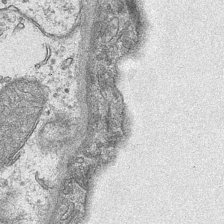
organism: Mouse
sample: CA1 Hippocampus